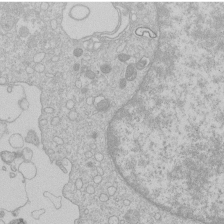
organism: Human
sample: Macrophage cells